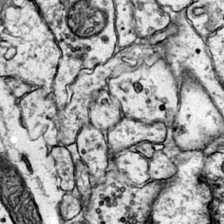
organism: Mouse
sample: Primary visual cortex